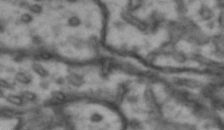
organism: Drosophila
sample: Brain